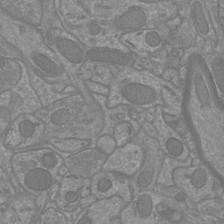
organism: Mouse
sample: Cortical neurons